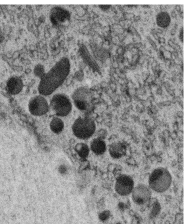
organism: C. elegans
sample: C. elegans oocyte; sperm cells